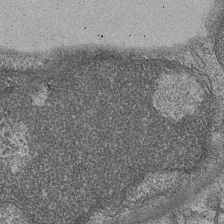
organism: Mouse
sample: CA1 Hippocampus